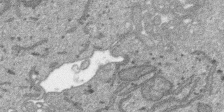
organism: Human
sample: Lung epithelial cells infected with SARS-CoV-2